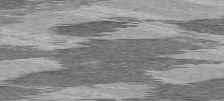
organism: C57BL Mouse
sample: Heart